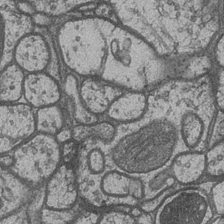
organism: Drosophila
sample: Optic medulla